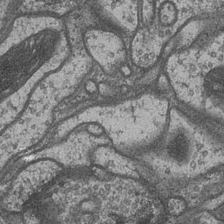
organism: Drosophila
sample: Optic medulla